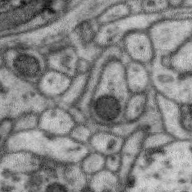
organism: Zebra finch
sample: Brain